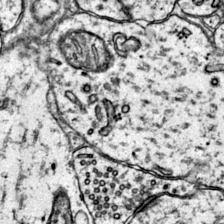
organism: Mouse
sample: Primary visual cortex